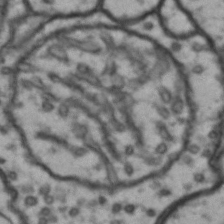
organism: Drosophila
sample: Brain